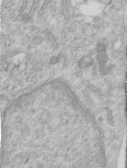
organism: Human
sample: Centriole in RPE cells